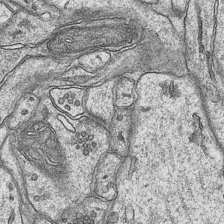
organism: Mouse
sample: CA1 Hippocampus